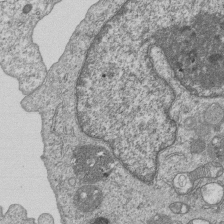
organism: Human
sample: MDA-MB-231 cells